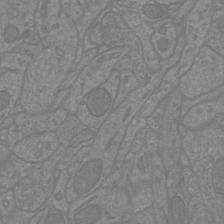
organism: Mouse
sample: Cortical neurons